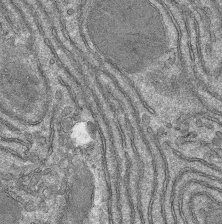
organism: Mouse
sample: Mouse hepatocytes